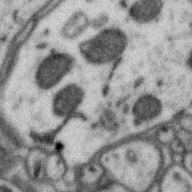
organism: Zebra finch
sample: Brain